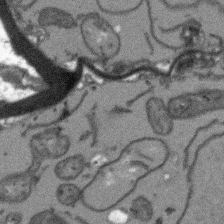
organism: Arabidopsis thaliana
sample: Root tip